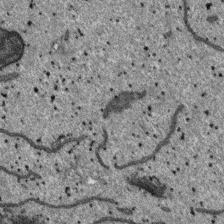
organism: Human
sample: Lung epithelial cells, uninfected (mock) control